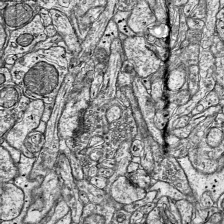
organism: Mouse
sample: Visual Cortex